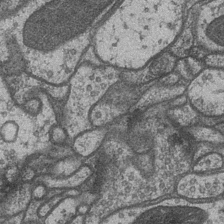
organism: Drosophila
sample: Optic medulla